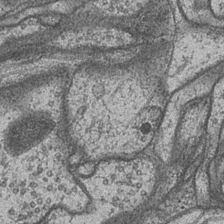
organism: Drosophila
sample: Optic medulla